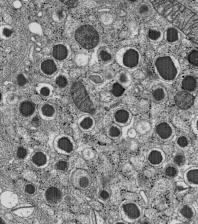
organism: C57BL Mouse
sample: Pancreatic islet